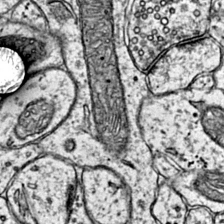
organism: Mouse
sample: Primary visual cortex